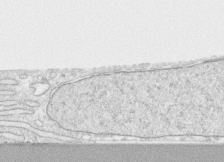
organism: Human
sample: CRL-1474